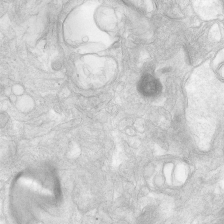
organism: Human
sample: Neocortex